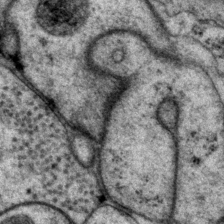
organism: P. pacificus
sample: Pharynx